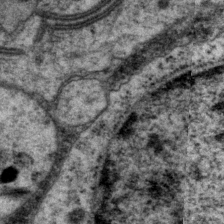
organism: P. pacificus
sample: Pharynx